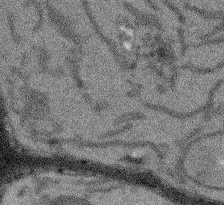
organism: Arabidopsis thaliana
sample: Root tip